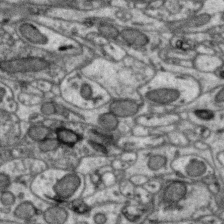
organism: Zebra finch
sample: Brain